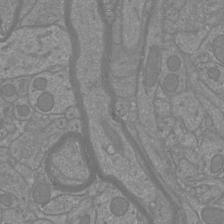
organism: Mouse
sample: Cortical neurons